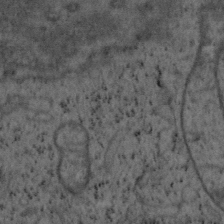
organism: Human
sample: HeLa cells